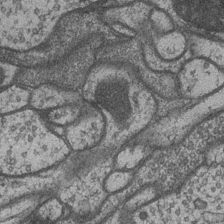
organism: Drosophila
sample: Optic medulla